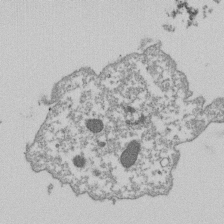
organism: Dictyostelium discoideum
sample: Dictyostelium multivesicular bodies